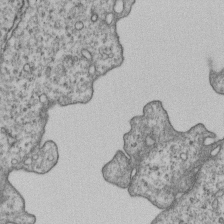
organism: Human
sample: MDA-MB-231 cells